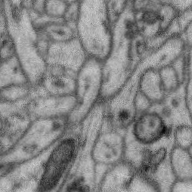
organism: Zebra finch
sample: Brain